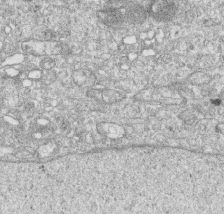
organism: Human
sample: HeLa cell HIV synapse